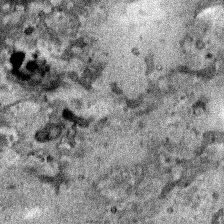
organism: Human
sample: Mitochondria in HCT116 cells